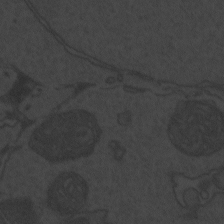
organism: Zebrafish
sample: Macrophage infected with Toxoplasma gondii